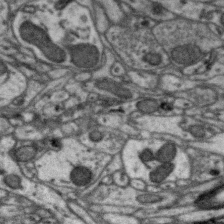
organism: Zebra finch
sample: Brain